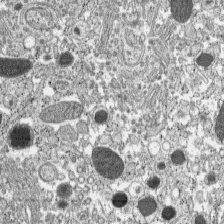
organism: C57BL Mouse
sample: Pancreatic islet